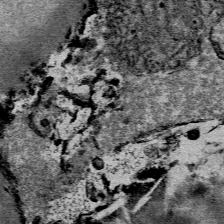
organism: Mouse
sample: Mouse Salivary gland